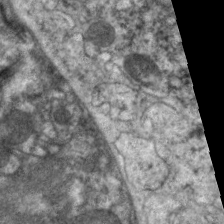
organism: C. elegans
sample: Pharynx